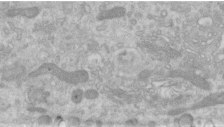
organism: Human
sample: Centriole in RPE cells